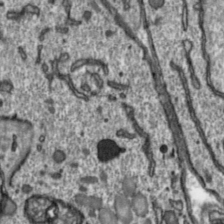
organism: Toxoplasma gondii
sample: Parasites in a vacuole inside a host cell